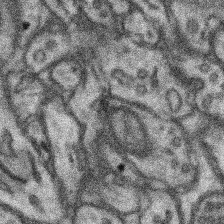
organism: Mouse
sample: Somatosensory cortex neuropil